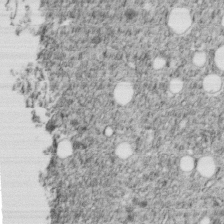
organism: C. elegans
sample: C. elegans embryo early stage